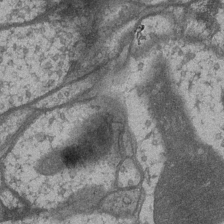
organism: Drosophila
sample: Optic medulla